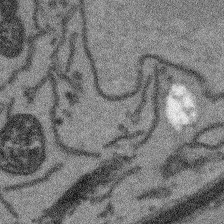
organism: Arabidopsis thaliana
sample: Root tip